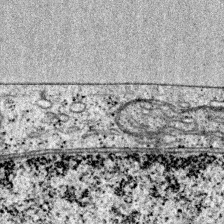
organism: Human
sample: HeLa cells